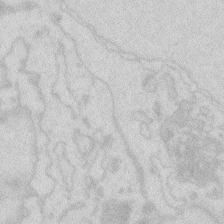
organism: Zebrafish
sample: Macrophage